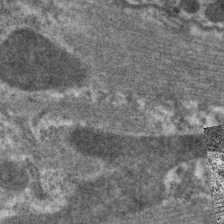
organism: C. elegans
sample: Pharynx